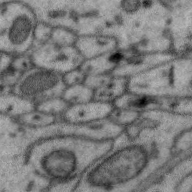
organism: Zebra finch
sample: Brain